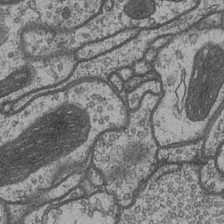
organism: Drosophila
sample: Optic medulla